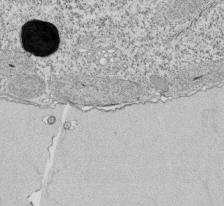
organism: Tetrahymena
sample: Cilia in tetrahymena